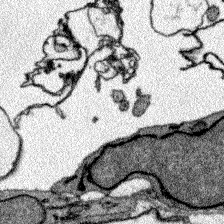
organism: Zebrafish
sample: Larval olfactory bulb